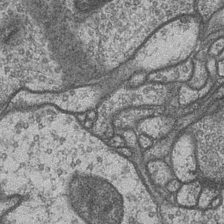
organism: Drosophila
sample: Optic medulla